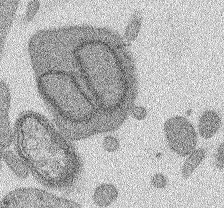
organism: Human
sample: HeLa cells